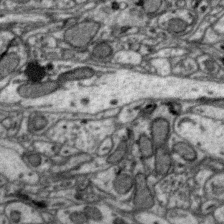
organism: Zebra finch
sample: Brain